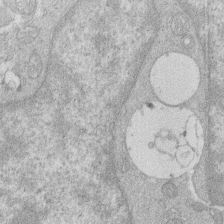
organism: Human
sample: Macrophage cells